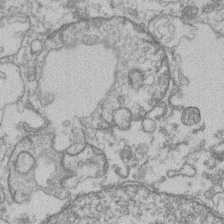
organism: Mouse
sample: T cell stromal cell synapse